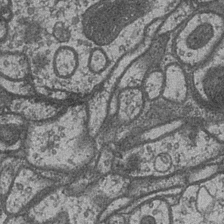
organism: Drosophila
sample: Optic medulla